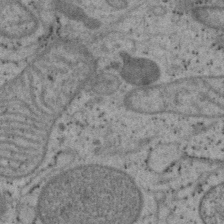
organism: Human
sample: HeLa cells